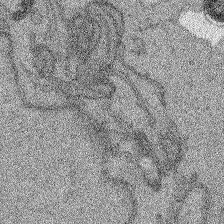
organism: Human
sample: HeLa cells